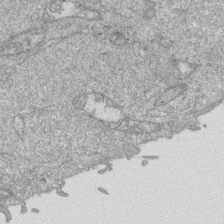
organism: Human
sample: HeLa cell HIV synapse